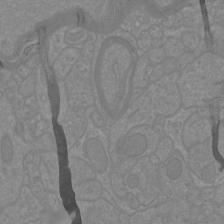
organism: Mouse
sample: Cortical neurons